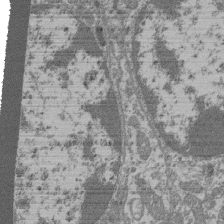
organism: Mouse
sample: Glomerulus